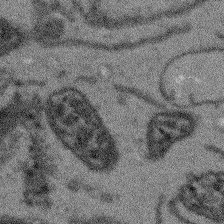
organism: Arabidopsis thaliana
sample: Root tip